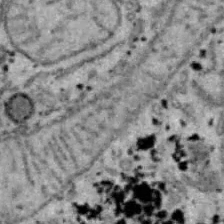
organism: Mouse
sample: Liver from an obese (ob/ob) mouse